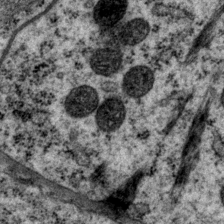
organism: P. pacificus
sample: Pharynx